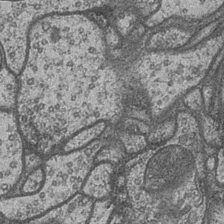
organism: Drosophila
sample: Optic medulla